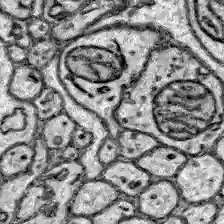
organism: Zebrafish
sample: Brain